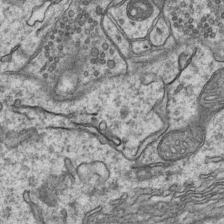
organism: Mouse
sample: CA1 Hippocampus